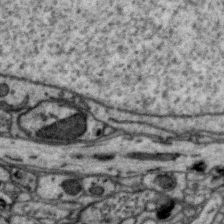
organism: Zebra finch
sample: Brain